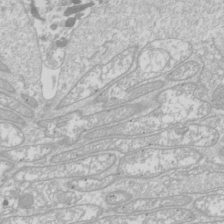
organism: Drosophila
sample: Cell division; meiosis; drosophila spermatocytes